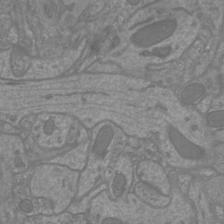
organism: Mouse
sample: Cortical neurons